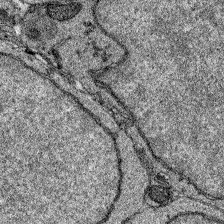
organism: Zebrafish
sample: Larval olfactory bulb